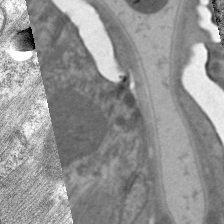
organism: C. elegans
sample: Pharynx